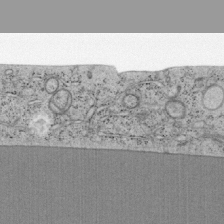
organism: Human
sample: HeLa cells